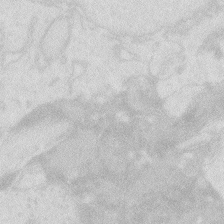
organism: Zebrafish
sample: Macrophage